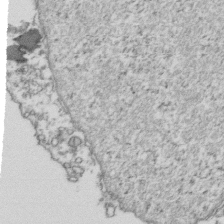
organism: Human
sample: Activated Jurkat CD4+ T cells